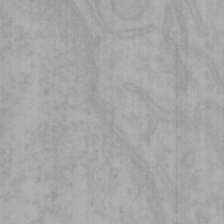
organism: Mouse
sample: Choroid plexus